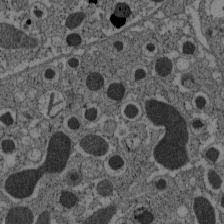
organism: C57BL Mouse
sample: Pancreatic islet